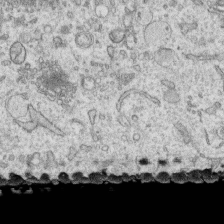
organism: Human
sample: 1205lu cells